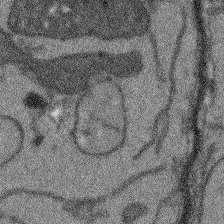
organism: Arabidopsis thaliana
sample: Root tip